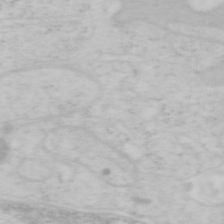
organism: Mouse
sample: OT-I killer T cells with ID8 ovarian cancer cells